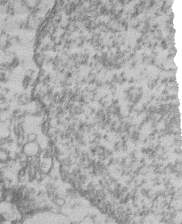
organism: Mouse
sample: T cell stromal cell synapse